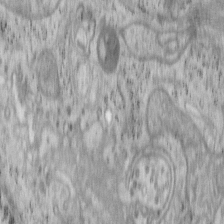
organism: Human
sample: HeLa cells